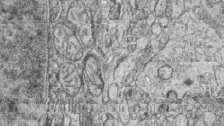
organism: Zebrafish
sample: synaptic ribbons in rod cells and cone cells